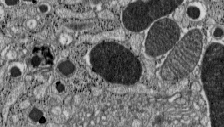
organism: C57BL Mouse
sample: Pancreatic islet